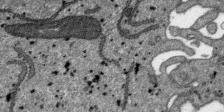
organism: Human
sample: Lung epithelial cells, uninfected (mock) control